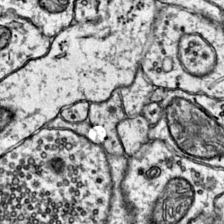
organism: Mouse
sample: Primary visual cortex